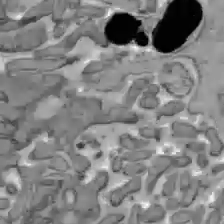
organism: C57BL Mouse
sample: Liver